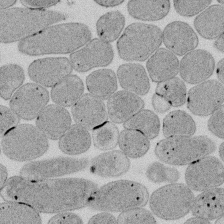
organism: E. coli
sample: Bacterial nucleoid